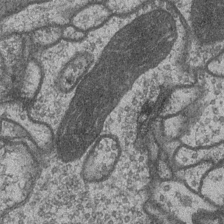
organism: Drosophila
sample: Optic medulla